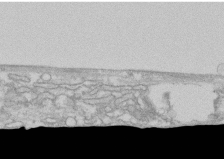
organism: Human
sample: CRL-1474